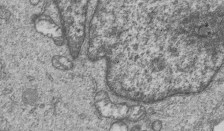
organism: Human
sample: MDA-MB-231 cells